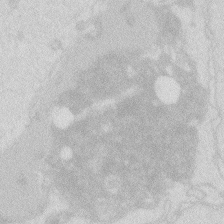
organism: Zebrafish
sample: Macrophage